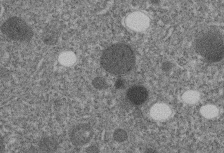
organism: C. elegans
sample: C. elegans embryo early stage